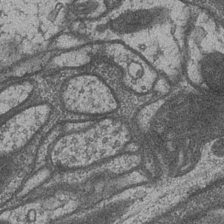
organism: Drosophila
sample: Optic medulla